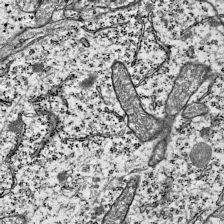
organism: Mouse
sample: Visual Cortex